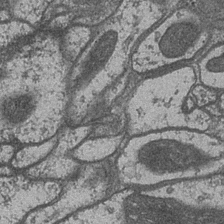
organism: Drosophila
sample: Optic medulla